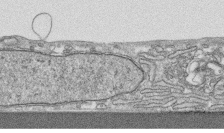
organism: Human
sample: CRL-1474